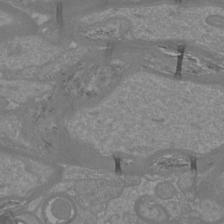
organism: Mouse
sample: Cortical neurons